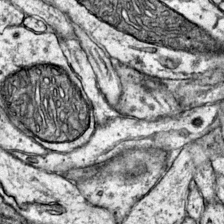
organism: Mouse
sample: Primary visual cortex